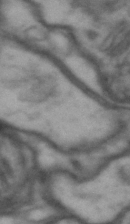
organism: Drosophila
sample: Brain